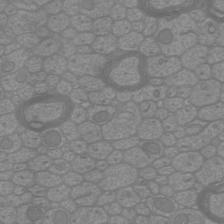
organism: Mouse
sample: Cortical neurons